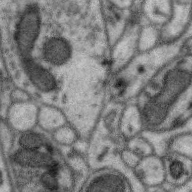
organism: Zebra finch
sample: Brain